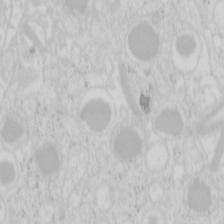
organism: Mouse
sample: Pancreas